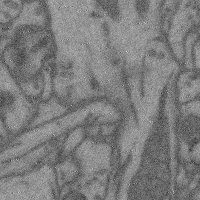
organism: Mouse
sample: Cerebral cortex